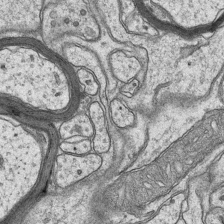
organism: Mouse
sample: CA1 Hippocampus